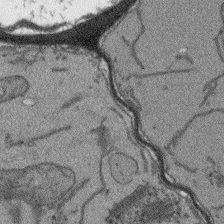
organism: Arabidopsis thaliana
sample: Root tip